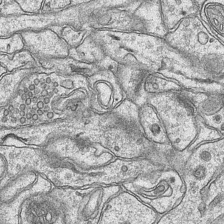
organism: Mouse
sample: CA1 Hippocampus